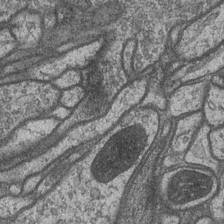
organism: Drosophila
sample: Optic medulla